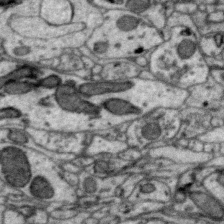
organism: Zebra finch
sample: Brain